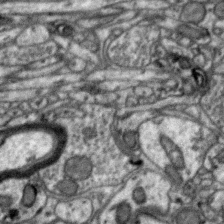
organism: Zebra finch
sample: Brain